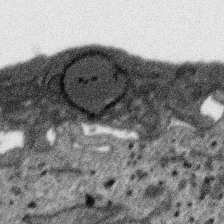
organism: Human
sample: Lung epithelial cells infected with SARS-CoV-2